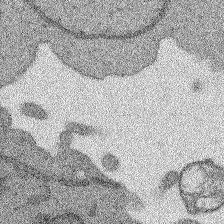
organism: Human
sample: HeLa cells